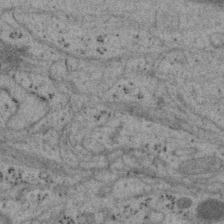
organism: Human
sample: HeLa cells